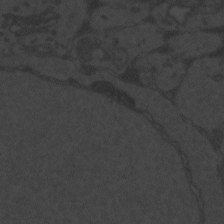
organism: Zebrafish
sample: Macrophage infected with Toxoplasma gondii